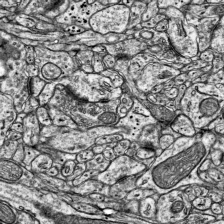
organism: Mouse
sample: Visual Cortex